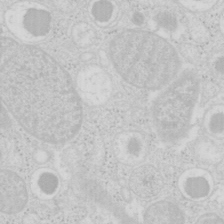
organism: Mouse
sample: Pancreas